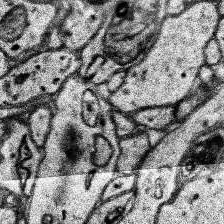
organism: Human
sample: Temporal Lobe